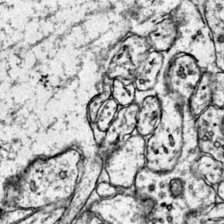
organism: Mouse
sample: Primary visual cortex